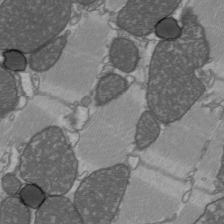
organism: C57BL Mouse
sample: Heart